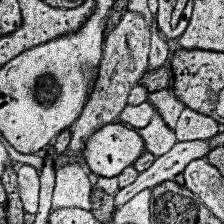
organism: Human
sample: Temporal Lobe